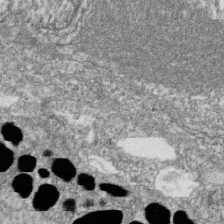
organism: Zebrafish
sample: Cilia; retinal pigment epithelium